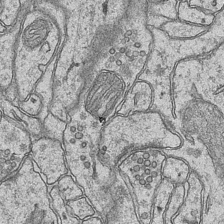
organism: Mouse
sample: CA1 Hippocampus